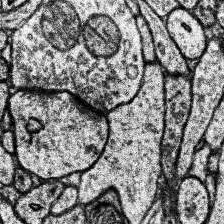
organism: Human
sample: Temporal Lobe